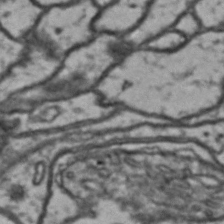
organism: Drosophila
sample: Brain